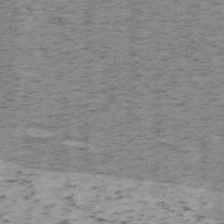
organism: Mouse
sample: OT-I killer T cells with ID8 ovarian cancer cells